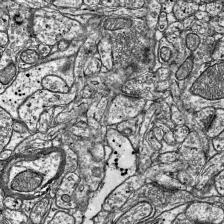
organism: Mouse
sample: Visual Cortex